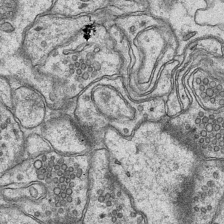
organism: Mouse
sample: CA1 Hippocampus